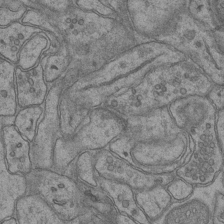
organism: Mouse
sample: CA1 Hippocampus